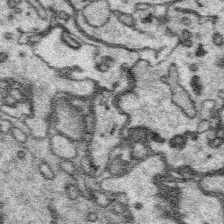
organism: Platynereis dumerilii